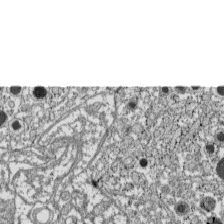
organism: C57BL Mouse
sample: Pancreatic islet